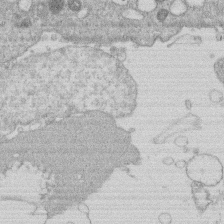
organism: Human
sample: Macrophage cells